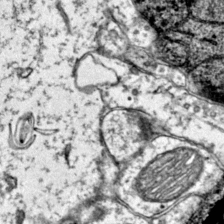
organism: Mouse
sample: Primary visual cortex